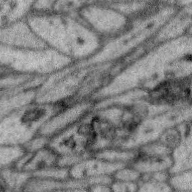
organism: Zebra finch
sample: Brain